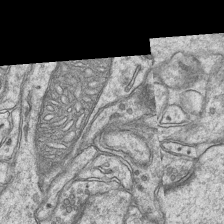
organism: Mouse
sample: CA1 Hippocampus